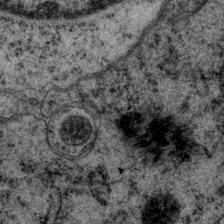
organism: P. pacificus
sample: Pharynx